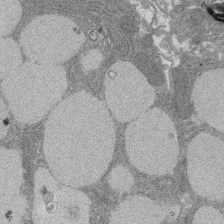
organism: Rat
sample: Salivary granule